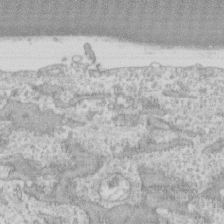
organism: Human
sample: CRL-1474